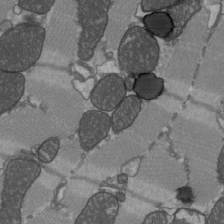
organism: C57BL Mouse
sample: Heart